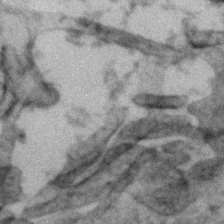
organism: Zebrafish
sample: Zebrafish embryo